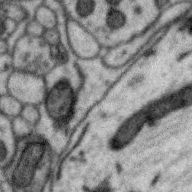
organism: Zebra finch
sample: Brain